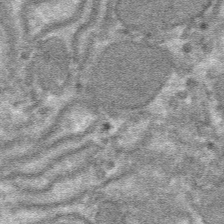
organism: Mouse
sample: Mouse hepatocytes